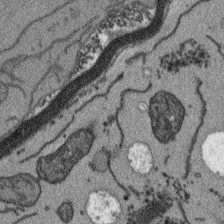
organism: Arabidopsis thaliana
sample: Root tip